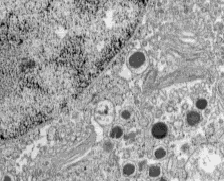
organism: C57BL Mouse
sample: Pancreatic islet